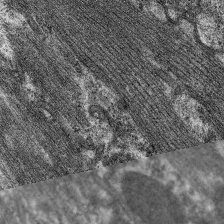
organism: C. elegans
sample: Pharynx